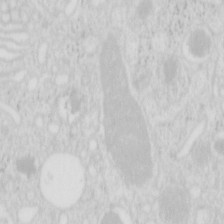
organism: Mouse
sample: Pancreas